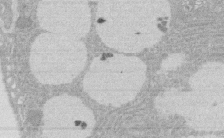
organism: Rat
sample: Salivary granule